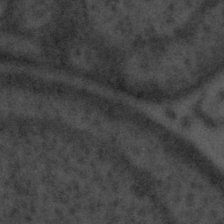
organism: Tuwongella immobilis